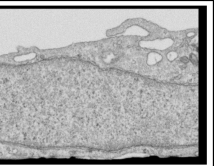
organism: Human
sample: Centriole in RPE cells